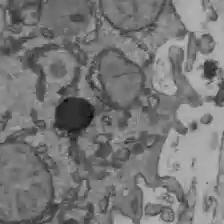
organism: C57BL Mouse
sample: Liver